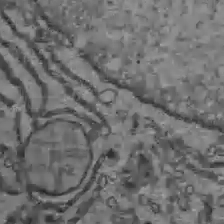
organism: C57BL Mouse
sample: Liver